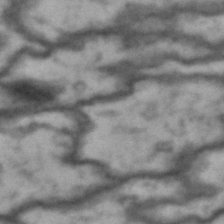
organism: Drosophila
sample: Brain